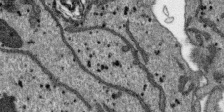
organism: Human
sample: Lung epithelial cells, uninfected (mock) control